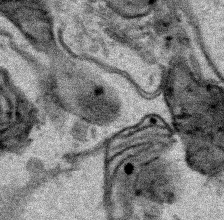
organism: Human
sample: Mitochondria in HCT116 cells